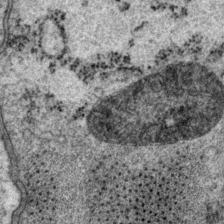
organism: P. pacificus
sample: Pharynx